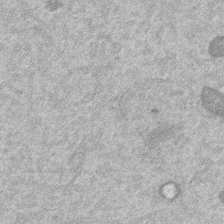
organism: Mouse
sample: Dividing mouse embryo 1 cell stage